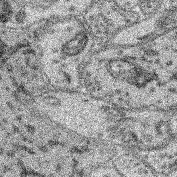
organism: Mouse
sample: Retina